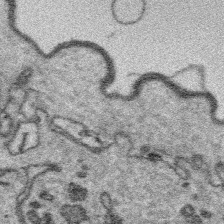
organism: Platynereis dumerilii